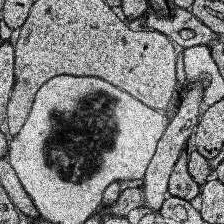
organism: Human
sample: Temporal Lobe